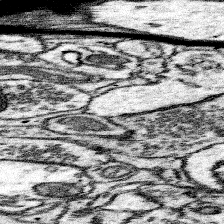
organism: Mouse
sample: Somatosensory cortex neuropil